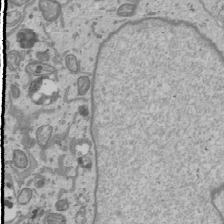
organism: Human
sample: Mitochondria in U2OS cells